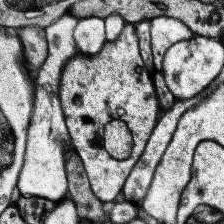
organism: Human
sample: Temporal Lobe